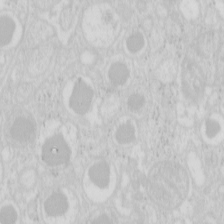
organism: Mouse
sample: Pancreas